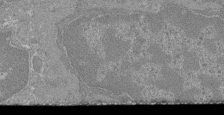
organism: Mouse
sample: Glomerulus